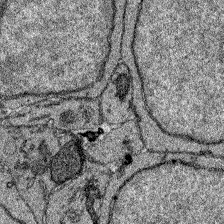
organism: Zebrafish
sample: Larval olfactory bulb